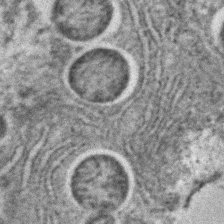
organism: C. elegans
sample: C. elegans embryo